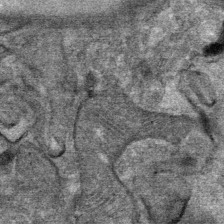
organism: Mouse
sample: Mouse Salivary gland